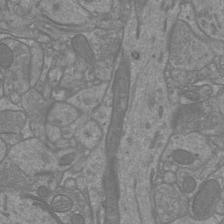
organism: Mouse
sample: Cortical neurons